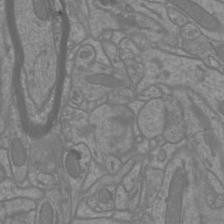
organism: Mouse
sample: Cortical neurons